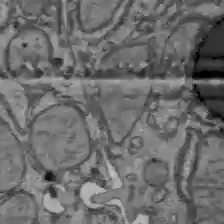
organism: C57BL Mouse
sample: Liver